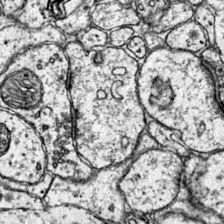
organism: Mouse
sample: Primary visual cortex